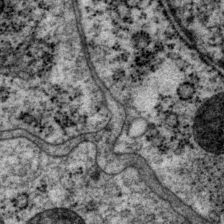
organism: P. pacificus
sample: Pharynx